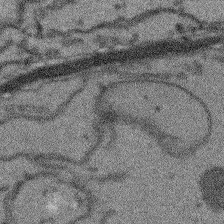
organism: Arabidopsis thaliana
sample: Root tip